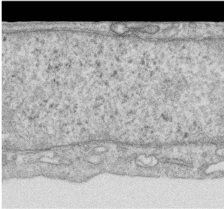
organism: Human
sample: Centriole in RPE cells